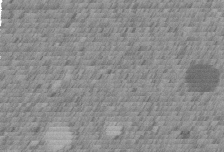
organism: C. elegans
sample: C. elegans embryo early stage